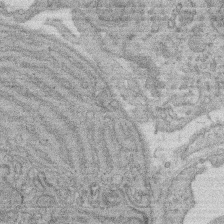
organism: Rat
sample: Salivary granule